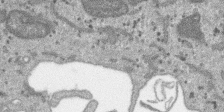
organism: Human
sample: Lung epithelial cells infected with SARS-CoV-2